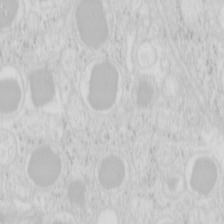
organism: Mouse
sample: Pancreas